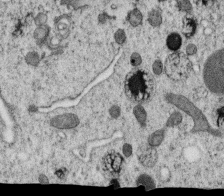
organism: C. elegans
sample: C. elegans oocyte; sperm cells